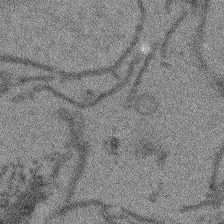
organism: Arabidopsis thaliana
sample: Root tip